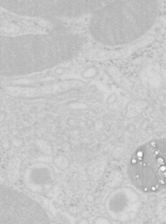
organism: Mouse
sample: Pancreas